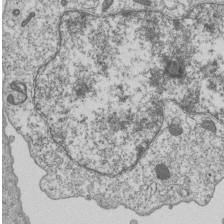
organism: Human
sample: MDA-MB-231 cells